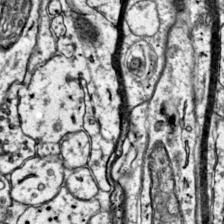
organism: Mouse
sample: Primary visual cortex